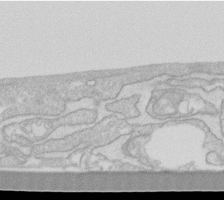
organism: Human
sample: Fibroblast cells